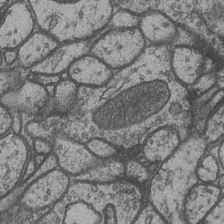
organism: Drosophila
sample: Optic medulla